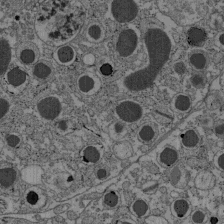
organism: C57BL Mouse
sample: Pancreatic islet